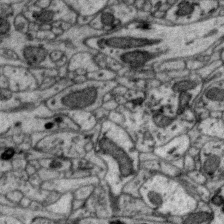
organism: Zebra finch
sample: Brain